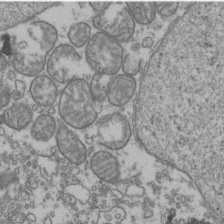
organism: Human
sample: Activated Jurkat CD4+ T cells